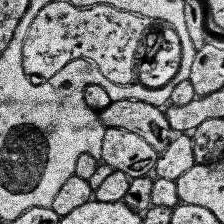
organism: Human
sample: Temporal Lobe